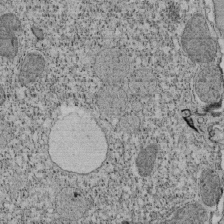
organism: Tetrahymena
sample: Cilia in tetrahymena